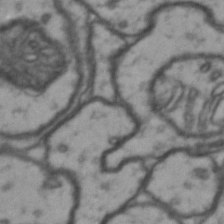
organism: Drosophila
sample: Brain